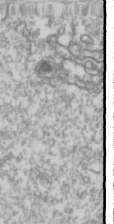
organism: Drosophila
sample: Cell division; meiosis; drosophila spermatocytes